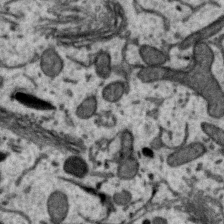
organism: Zebra finch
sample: Brain